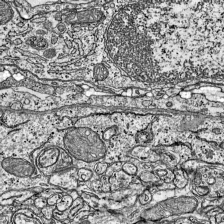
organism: Mouse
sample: Visual Cortex